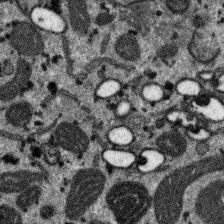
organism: Human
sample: Lung epithelial cells infected with SARS-CoV-2